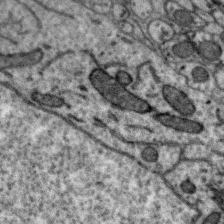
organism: Zebra finch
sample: Brain